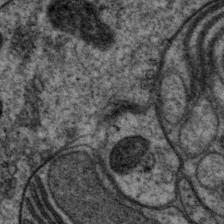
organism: P. pacificus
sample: Pharynx